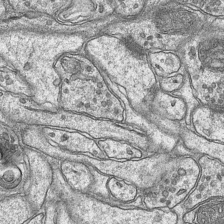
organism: Mouse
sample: CA1 Hippocampus